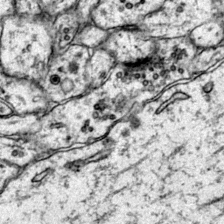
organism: Mouse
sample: Primary visual cortex